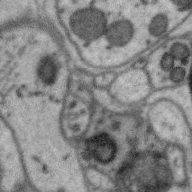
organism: Zebra finch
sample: Brain